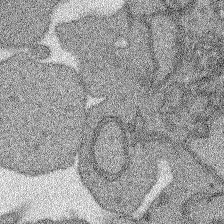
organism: Human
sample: HeLa cells